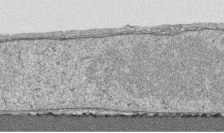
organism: Human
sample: CRL-1474